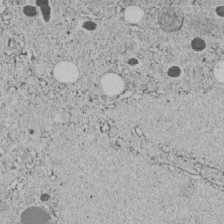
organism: C. elegans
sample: C. elegans embryo early stage